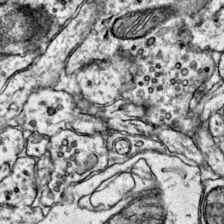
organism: Mouse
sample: Primary visual cortex